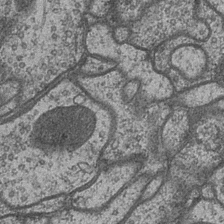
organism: Drosophila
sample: Optic medulla